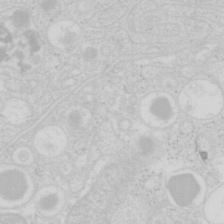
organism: Mouse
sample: Pancreas